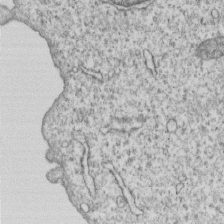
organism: Human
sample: MDA-MB-231 cells